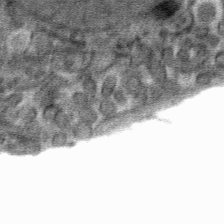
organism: Mouse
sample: Mouse hepatocytes